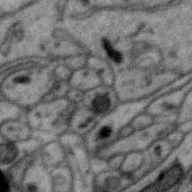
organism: Zebra finch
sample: Brain